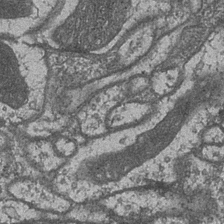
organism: Drosophila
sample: Optic medulla